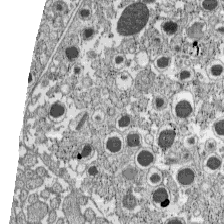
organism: C57BL Mouse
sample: Pancreatic islet